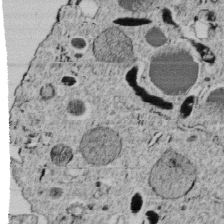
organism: C. elegans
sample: C. elegans embryo early stage